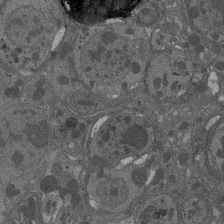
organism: Drosophila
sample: Antenna